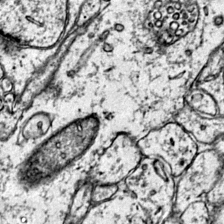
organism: Mouse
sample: Primary visual cortex